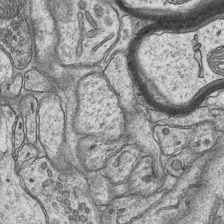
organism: Mouse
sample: CA1 Hippocampus